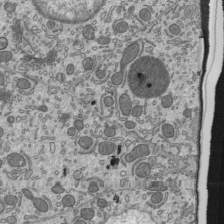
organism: Mouse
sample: Mouse epididymis efferent ductule cilia